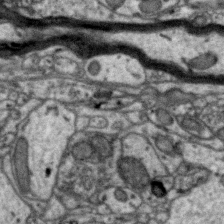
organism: Zebra finch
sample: Brain